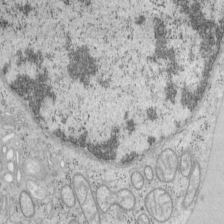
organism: Mouse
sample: OT-I killer T cells with ID8 ovarian cancer cells